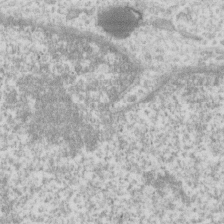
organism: Human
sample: Fibroblast cells